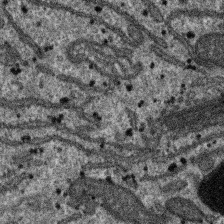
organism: Human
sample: Lung epithelial cells infected with SARS-CoV-2